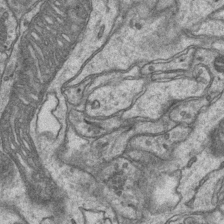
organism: Mouse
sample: CA1 Hippocampus